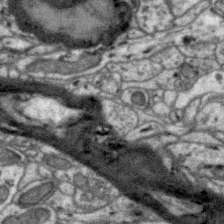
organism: Zebra finch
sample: Brain